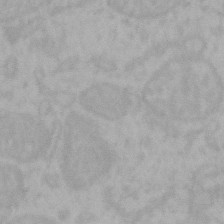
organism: Mouse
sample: Choroid plexus